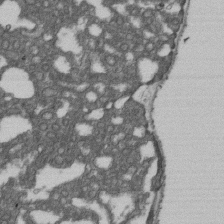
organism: Drosophila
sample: Nephrocyte